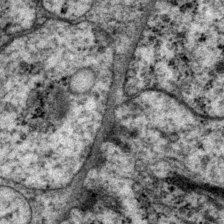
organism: P. pacificus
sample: Pharynx